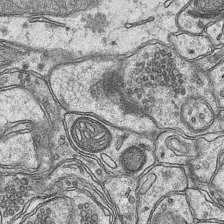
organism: Mouse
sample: CA1 Hippocampus